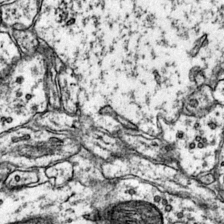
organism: Mouse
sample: Primary visual cortex